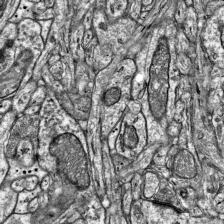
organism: Mouse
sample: Visual Cortex